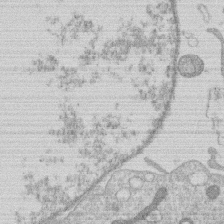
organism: Human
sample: Macrophage cells